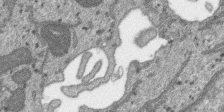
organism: Human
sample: Lung epithelial cells infected with SARS-CoV-2